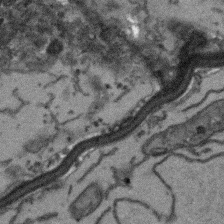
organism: Arabidopsis thaliana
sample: Root tip